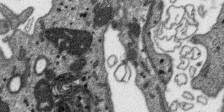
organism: Human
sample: Lung epithelial cells infected with SARS-CoV-2